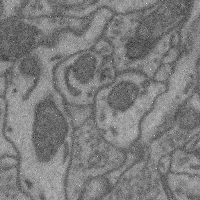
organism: Mouse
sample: Cerebral cortex